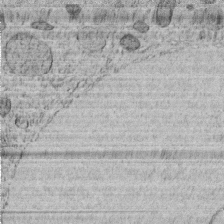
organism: C. elegans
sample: C. elegans embryo early stage